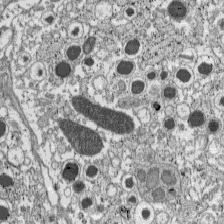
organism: C57BL Mouse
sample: Pancreatic islet